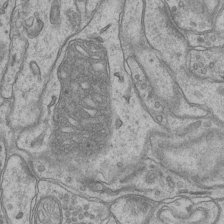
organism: Mouse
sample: CA1 Hippocampus